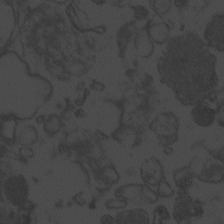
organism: Zebrafish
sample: Macrophage infected with Toxoplasma gondii